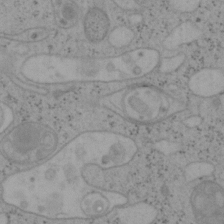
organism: Mouse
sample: OT-I killer T cells with ID8 ovarian cancer cells